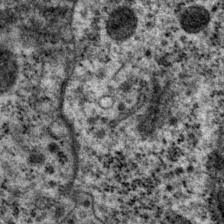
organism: P. pacificus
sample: Pharynx